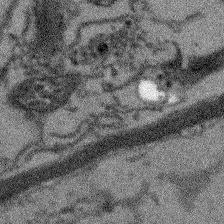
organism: Arabidopsis thaliana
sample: Root tip